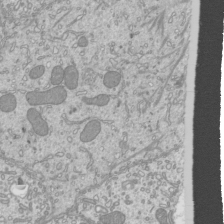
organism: Mouse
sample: Cilia; mouse epididymis